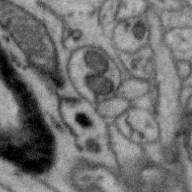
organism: Zebra finch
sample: Brain